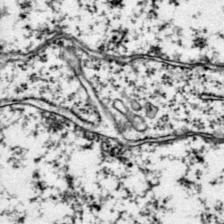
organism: Mouse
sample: Primary visual cortex